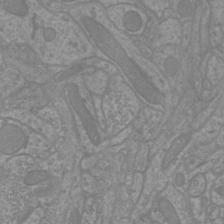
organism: Mouse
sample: Cortical neurons